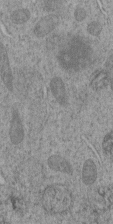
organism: C. elegans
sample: C. elegans embryo early stage